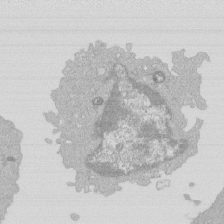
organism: Mouse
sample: Activated Pmel transgenic CD8+ T Cells